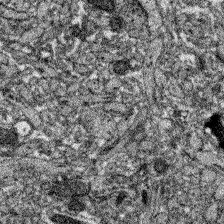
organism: Zebrafish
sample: Larval olfactory bulb